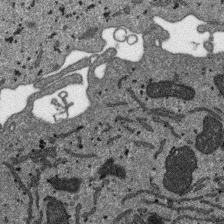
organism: Human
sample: Lung epithelial cells infected with SARS-CoV-2